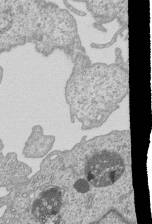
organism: Human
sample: MDA-MB-231 cells